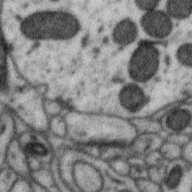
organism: Zebra finch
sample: Brain